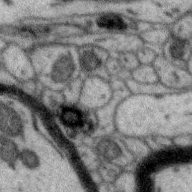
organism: Zebra finch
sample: Brain